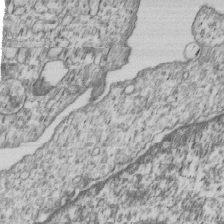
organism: Human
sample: MDA-MB-231 cells